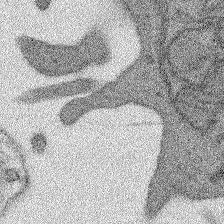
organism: Human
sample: HeLa cells